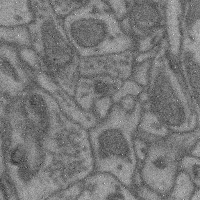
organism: Mouse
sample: Cerebral cortex